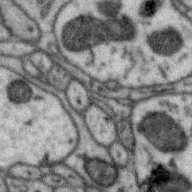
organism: Zebra finch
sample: Brain